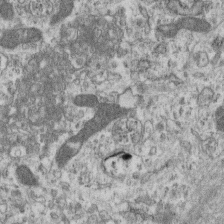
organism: Mouse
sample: Centriole in ependymal cells